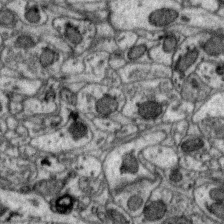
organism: Zebra finch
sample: Brain